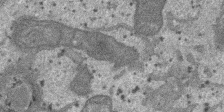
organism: Human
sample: Lung epithelial cells infected with SARS-CoV-2